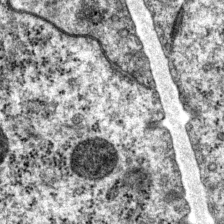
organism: P. pacificus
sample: Pharynx